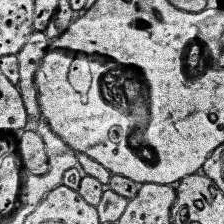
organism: Human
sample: Temporal Lobe